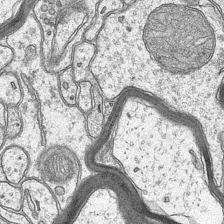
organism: Mouse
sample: CA1 Hippocampus